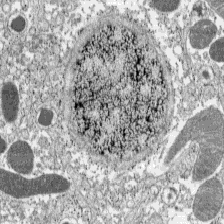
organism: C57BL Mouse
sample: Pancreatic islet